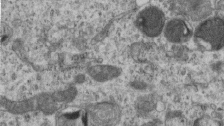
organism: Mouse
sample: Centriole in ependymal cells